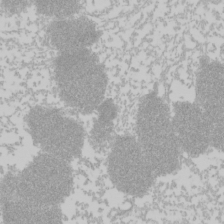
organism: Mouse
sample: Cancer cell death in ED-1 cells